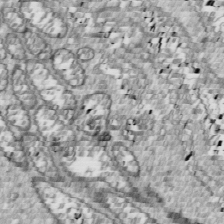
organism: Drosophila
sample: Cell division; meiosis; drosophila spermatocytes